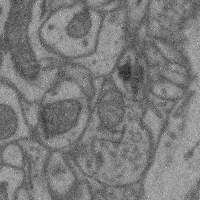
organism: Mouse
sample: Cerebral cortex